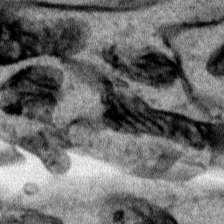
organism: Human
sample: Mitochondria in HCT116 cells